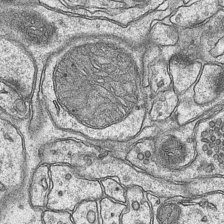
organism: Mouse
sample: CA1 Hippocampus